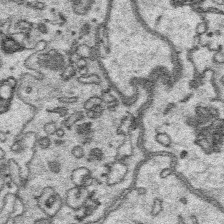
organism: Platynereis dumerilii